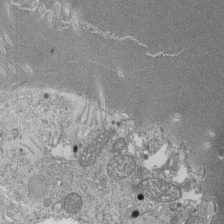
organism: Tetrahymena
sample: Cilia in tetrahymena